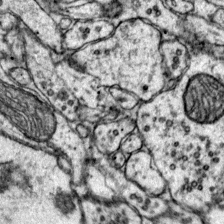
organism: Mouse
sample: Primary visual cortex